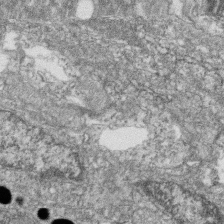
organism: Zebrafish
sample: Cilia; retinal pigment epithelium